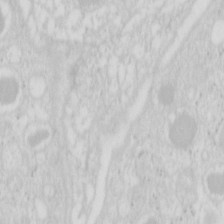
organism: Mouse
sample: Pancreas